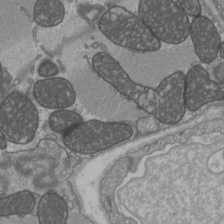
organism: C57BL Mouse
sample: Heart